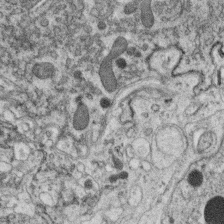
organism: C. elegans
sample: C. elegans oocyte; sperm cells